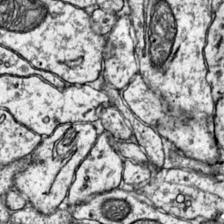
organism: Mouse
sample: Primary visual cortex